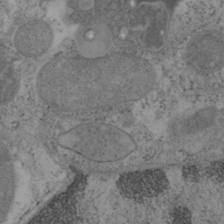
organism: Mouse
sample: OT-I killer T cells with ID8 ovarian cancer cells